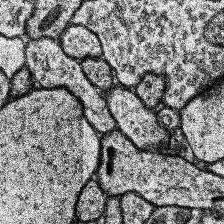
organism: Human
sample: Temporal Lobe